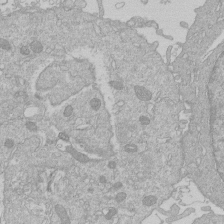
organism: Human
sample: Macrophage cells